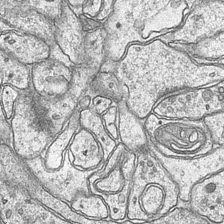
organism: Mouse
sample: CA1 Hippocampus